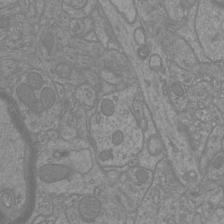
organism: Mouse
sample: Cortical neurons